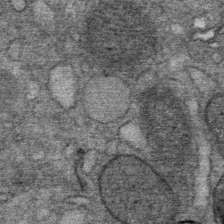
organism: Mouse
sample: Mouse Salivary gland